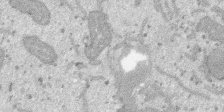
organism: Human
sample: Lung epithelial cells infected with SARS-CoV-2